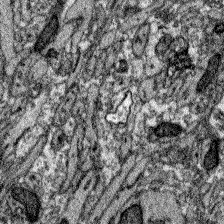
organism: Zebrafish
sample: Larval olfactory bulb